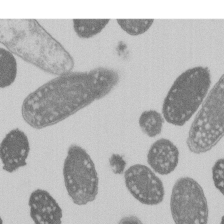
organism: E. coli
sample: Bacterial nucleoid